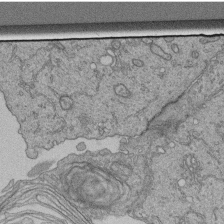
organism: Human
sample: Retinal organoid Rod and Cone cells